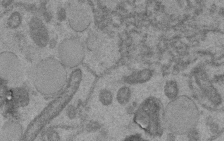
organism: C. elegans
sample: C. elegans embryo early stage